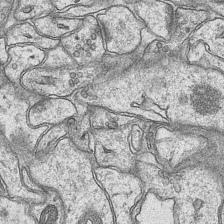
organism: Mouse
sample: CA1 Hippocampus